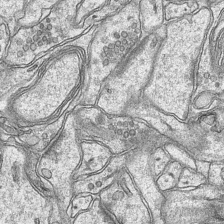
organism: Mouse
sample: CA1 Hippocampus